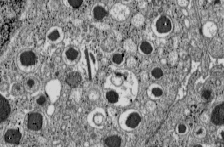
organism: C57BL Mouse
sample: Pancreatic islet